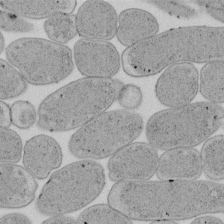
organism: E. coli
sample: Bacterial nucleoid